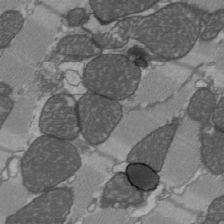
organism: C57BL Mouse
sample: Heart